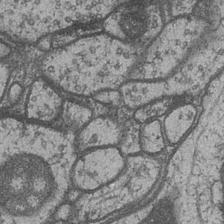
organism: Drosophila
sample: Optic medulla